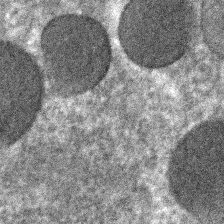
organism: C. elegans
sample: C. elegans embryo